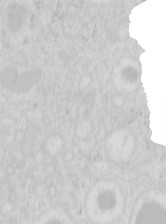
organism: Mouse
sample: Pancreas